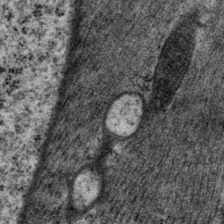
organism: P. pacificus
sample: Pharynx